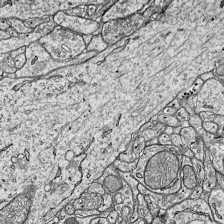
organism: Mouse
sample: Visual Cortex